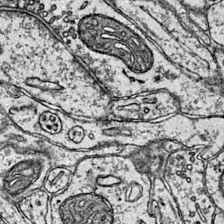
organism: Mouse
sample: Primary visual cortex